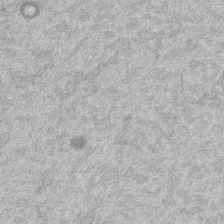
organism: Mouse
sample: Dividing mouse embryo 1 cell stage